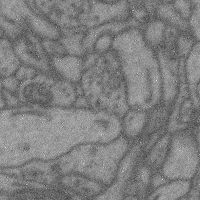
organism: Mouse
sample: Cerebral cortex